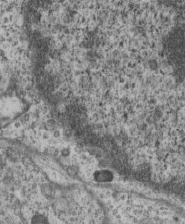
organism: Mouse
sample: Centriole in ependymal cells